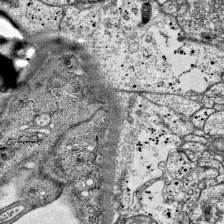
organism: Mouse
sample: Visual Cortex